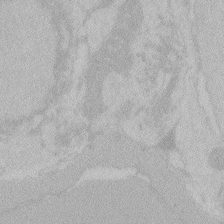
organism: Zebrafish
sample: Macrophage infected with Toxoplasma gondii